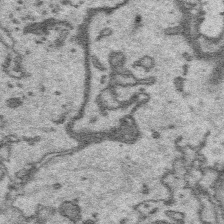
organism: Platynereis dumerilii